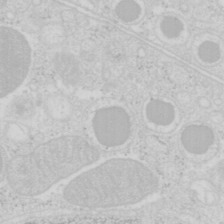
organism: Mouse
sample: Pancreas